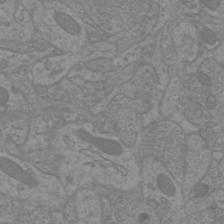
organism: Mouse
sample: Cortical neurons